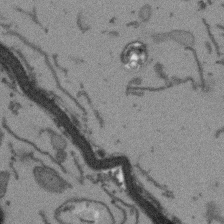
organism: Arabidopsis thaliana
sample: Root tip